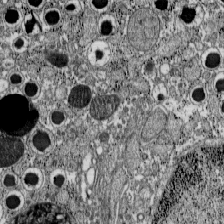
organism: C57BL Mouse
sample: Pancreatic islet